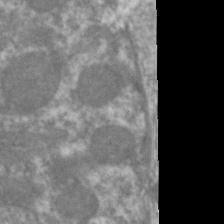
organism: C. elegans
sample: Pharynx